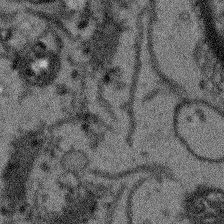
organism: Arabidopsis thaliana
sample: Root tip